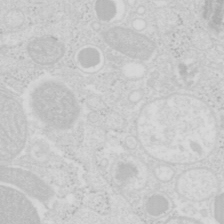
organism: Mouse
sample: Pancreas